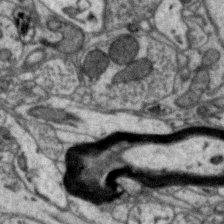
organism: Zebra finch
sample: Brain